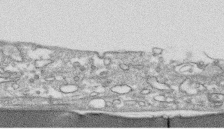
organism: Human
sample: CRL-1474